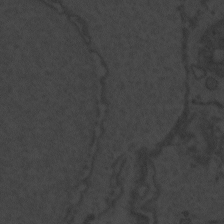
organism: Zebrafish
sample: Macrophage infected with Toxoplasma gondii